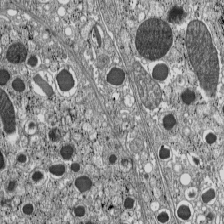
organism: C57BL Mouse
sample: Pancreatic islet